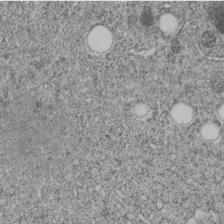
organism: C. elegans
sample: C. elegans embryo early stage